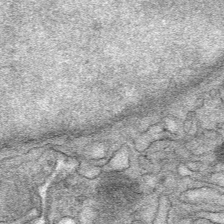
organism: Mouse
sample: Mouse Salivary gland